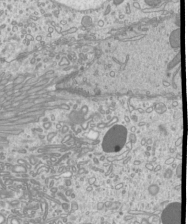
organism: Mouse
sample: Cilia; mouse epididymis